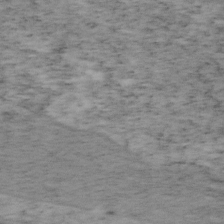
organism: Mouse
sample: OT-I killer T cells with ID8 ovarian cancer cells